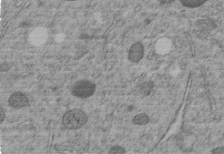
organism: C. elegans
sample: C. elegans embryo early stage